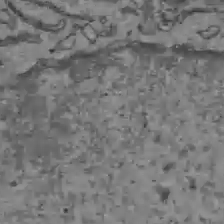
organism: C57BL Mouse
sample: Liver